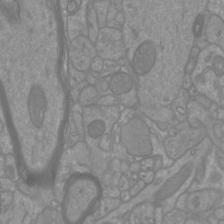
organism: Mouse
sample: Cortical neurons